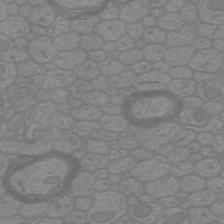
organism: Mouse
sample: Cortical neurons